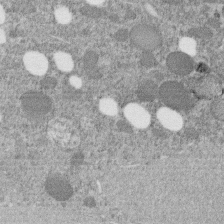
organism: C. elegans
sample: C. elegans embryo early stage